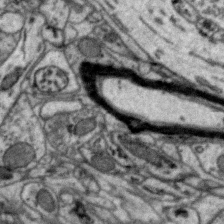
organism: Zebra finch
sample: Brain